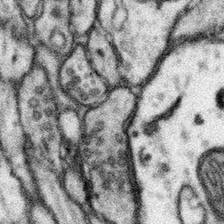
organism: Mouse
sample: Somatosensory cortex neuropil